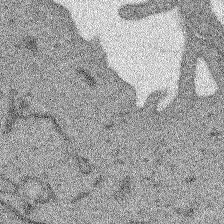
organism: Human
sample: HeLa cells